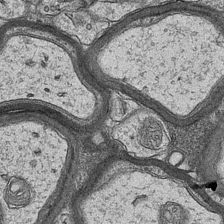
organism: Mouse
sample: CA1 Hippocampus